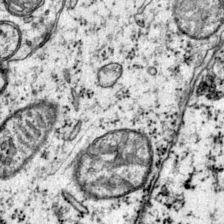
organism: Mouse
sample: Primary visual cortex